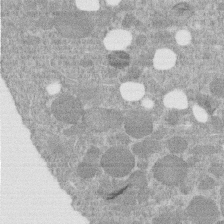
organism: C. elegans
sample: C. elegans embryo early stage